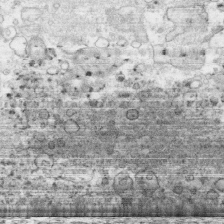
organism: Human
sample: CRL-1474